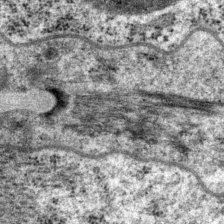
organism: P. pacificus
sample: Pharynx